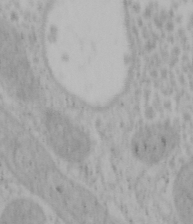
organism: Mouse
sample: OT-I killer T cells with ID8 ovarian cancer cells